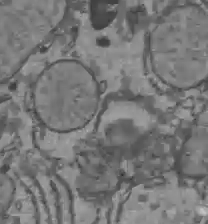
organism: C57BL Mouse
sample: Liver